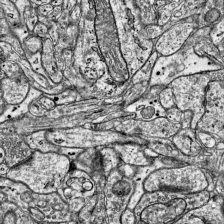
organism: Mouse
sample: Visual Cortex